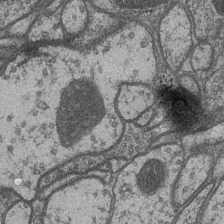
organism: Drosophila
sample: Optic medulla